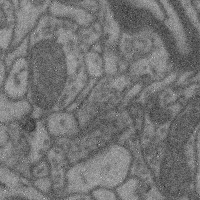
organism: Mouse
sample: Cerebral cortex